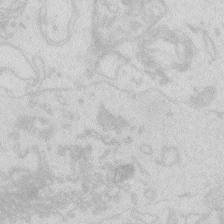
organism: Zebrafish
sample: Macrophage